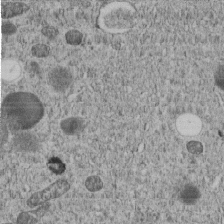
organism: C. elegans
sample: C. elegans embryo early stage